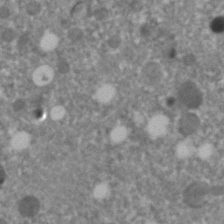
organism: C. elegans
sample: C. elegans embryo